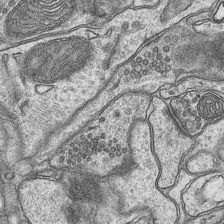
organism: Mouse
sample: CA1 Hippocampus